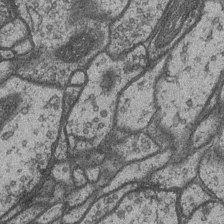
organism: Drosophila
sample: Optic medulla